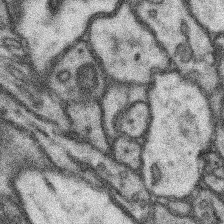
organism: Mouse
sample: Somatosensory cortex neuropil